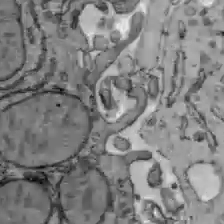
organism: C57BL Mouse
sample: Liver